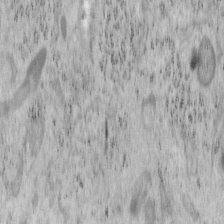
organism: Human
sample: HeLa cells